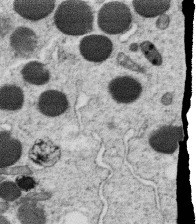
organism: C. elegans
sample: C. elegans oocyte; sperm cells